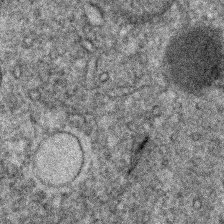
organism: C. elegans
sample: C. elegans embryo